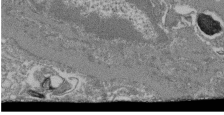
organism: Mouse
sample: Glomerulus